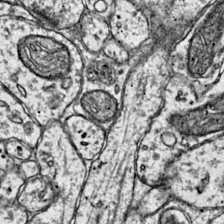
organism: Mouse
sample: Primary visual cortex